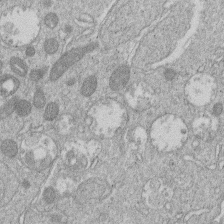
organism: Human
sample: Macrophage cells